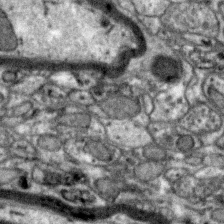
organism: Zebra finch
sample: Brain